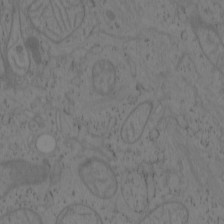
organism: Human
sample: HeLa cells